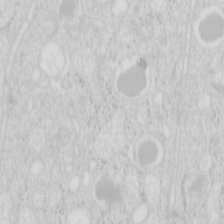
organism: Mouse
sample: Pancreas